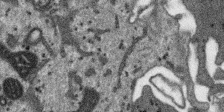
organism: Human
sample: Lung epithelial cells infected with SARS-CoV-2